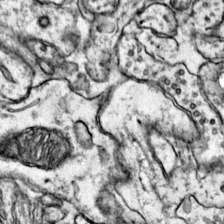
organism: Mouse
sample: Primary visual cortex